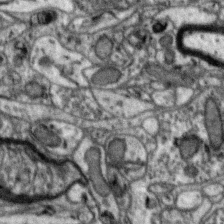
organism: Zebra finch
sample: Brain